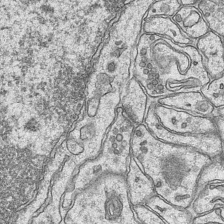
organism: Mouse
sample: CA1 Hippocampus